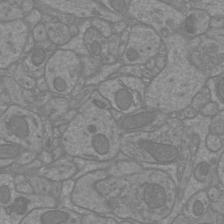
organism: Mouse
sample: Cortical neurons